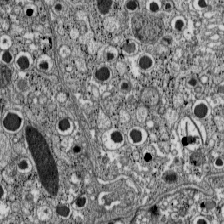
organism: C57BL Mouse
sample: Pancreatic islet